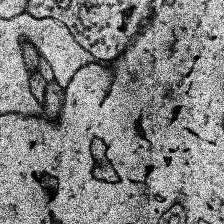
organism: Human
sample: Temporal Lobe